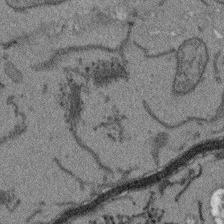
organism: Arabidopsis thaliana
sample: Root tip